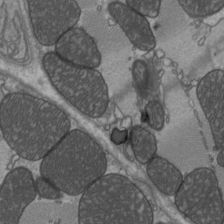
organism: C57BL Mouse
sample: Heart